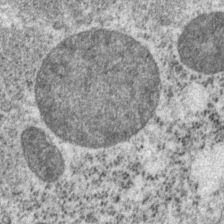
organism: P. pacificus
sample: Pharynx